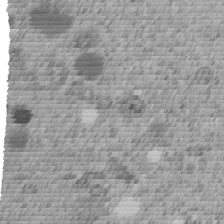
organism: C. elegans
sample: C. elegans embryo early stage